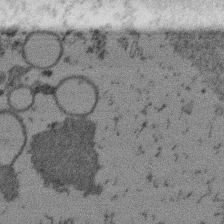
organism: Mouse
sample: Dividing mouse embryo 1 cell stage